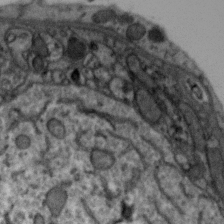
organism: Zebra finch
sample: Brain